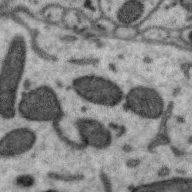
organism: Zebra finch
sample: Brain